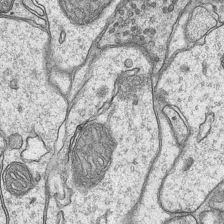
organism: Mouse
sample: CA1 Hippocampus